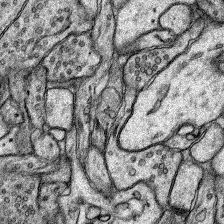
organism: Rat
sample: Hippocampus